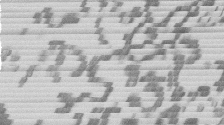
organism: Mouse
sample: Dividing mouse embryo 1 cell stage